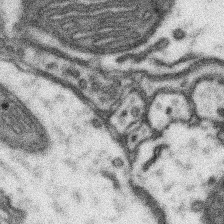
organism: Mouse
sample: Somatosensory cortex neuropil